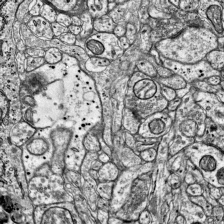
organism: Mouse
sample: Visual Cortex